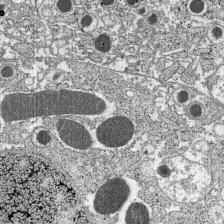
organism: C57BL Mouse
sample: Pancreatic islet